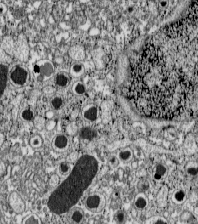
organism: C57BL Mouse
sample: Pancreatic islet